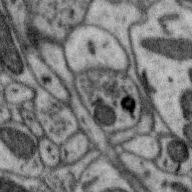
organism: Zebra finch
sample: Brain